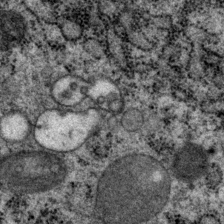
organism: P. pacificus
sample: Pharynx